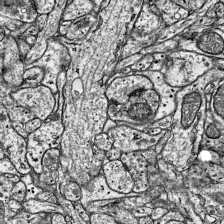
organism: Mouse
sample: Visual Cortex